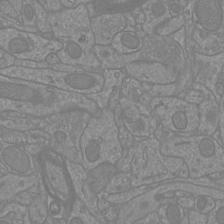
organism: Mouse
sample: Cortical neurons